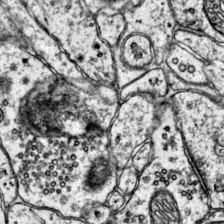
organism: Mouse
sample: Primary visual cortex